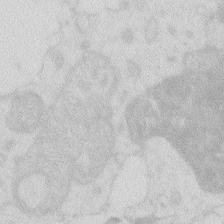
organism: Zebrafish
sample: Macrophage